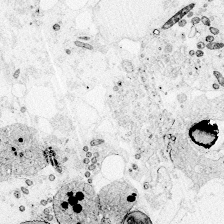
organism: Zebrafish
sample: Whole-Brain